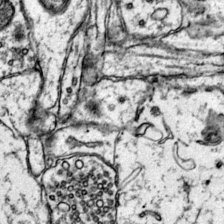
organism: Mouse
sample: Primary visual cortex